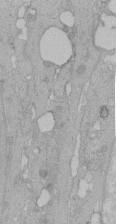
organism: Human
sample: Melanocyte Keratinocyte synapse skin construct